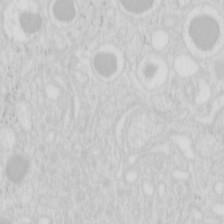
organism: Mouse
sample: Pancreas